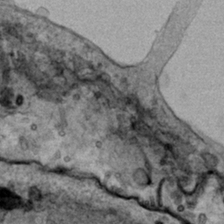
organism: Human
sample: Mitochondria in HCT116 cells